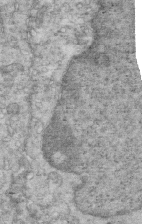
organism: Mouse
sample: Multiciliated cells